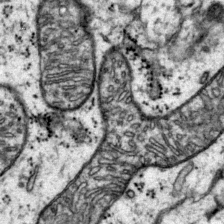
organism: Mouse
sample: Primary visual cortex